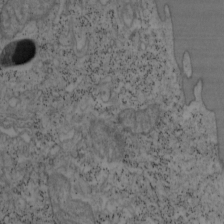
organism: Mouse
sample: OT-I killer T cells with ID8 ovarian cancer cells